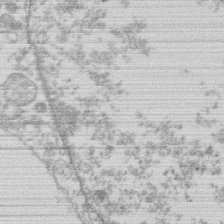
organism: Human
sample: Macrophage cells